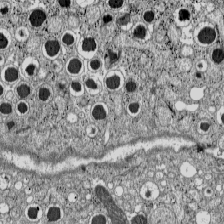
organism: C57BL Mouse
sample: Pancreatic islet